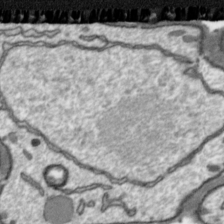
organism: Toxoplasma gondii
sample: Parasites in a vacuole inside a host cell